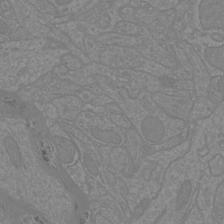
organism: Mouse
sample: Cortical neurons